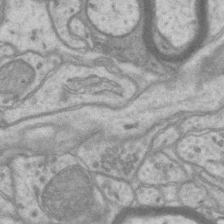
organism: Mouse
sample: CA1 Hippocampus